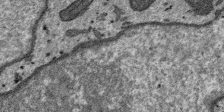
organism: Human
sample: Lung epithelial cells, uninfected (mock) control